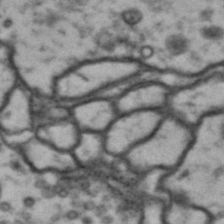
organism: Drosophila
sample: Brain